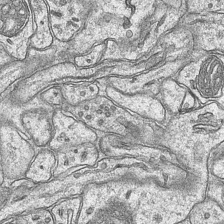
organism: Mouse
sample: CA1 Hippocampus